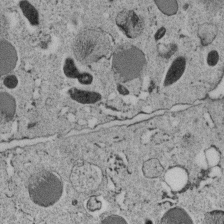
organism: C. elegans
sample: C. elegans embryo early stage